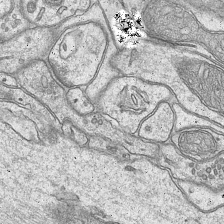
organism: Mouse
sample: CA1 Hippocampus